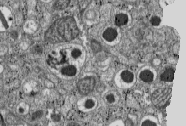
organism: C57BL Mouse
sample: Pancreatic islet